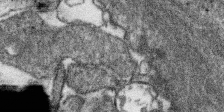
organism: Human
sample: Lung epithelial cells infected with SARS-CoV-2